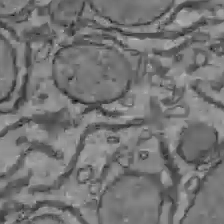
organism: C57BL Mouse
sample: Liver